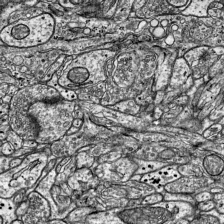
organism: Mouse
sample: Visual Cortex